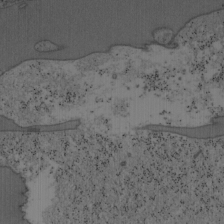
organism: Mouse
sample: OT-I killer T cells with ID8 ovarian cancer cells